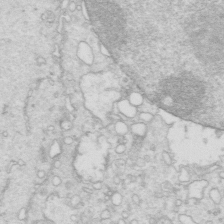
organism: Mouse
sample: Multiciliated cells